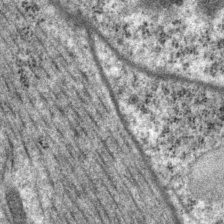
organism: P. pacificus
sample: Pharynx